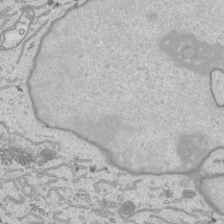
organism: Human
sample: Mitochondria in HCT116 cells